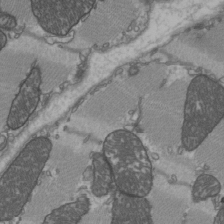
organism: C57BL Mouse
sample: Heart